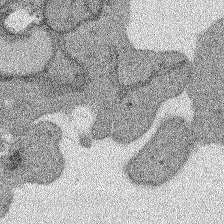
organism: Human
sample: HeLa cells